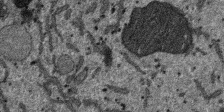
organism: Human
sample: Lung epithelial cells infected with SARS-CoV-2